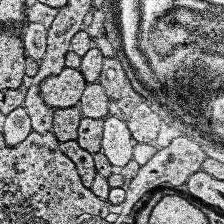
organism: Human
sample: Temporal Lobe